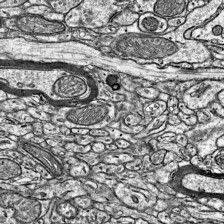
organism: Mouse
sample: Visual Cortex